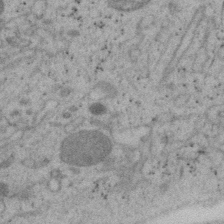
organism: Human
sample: HeLa cells